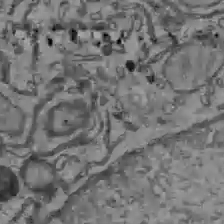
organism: C57BL Mouse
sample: Liver